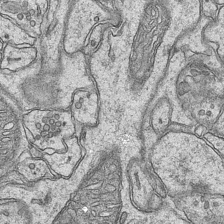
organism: Mouse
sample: CA1 Hippocampus